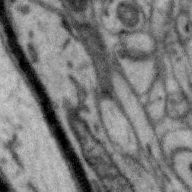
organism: Zebra finch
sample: Brain